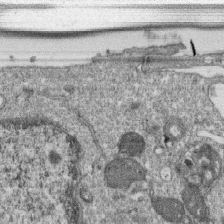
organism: African green monkey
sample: Vero E6 cells infected with SARS-CoV-2